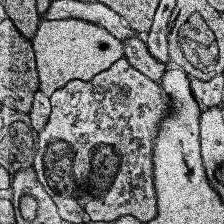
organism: Human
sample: Temporal Lobe